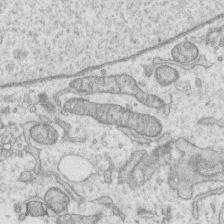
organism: Human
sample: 1205lu cells